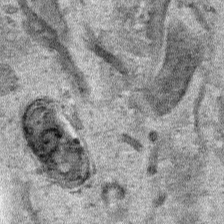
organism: Human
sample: Mitochondria in HCT116 cells